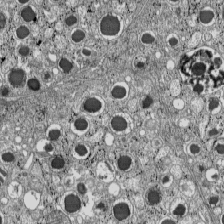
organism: C57BL Mouse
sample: Pancreatic islet